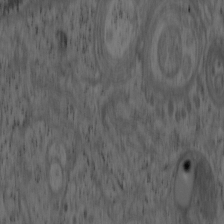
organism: Human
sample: HeLa cells